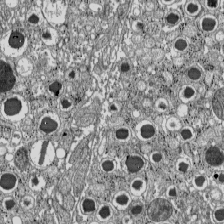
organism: C57BL Mouse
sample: Pancreatic islet